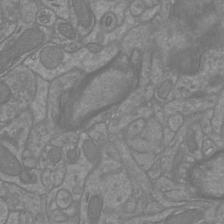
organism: Mouse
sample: Cortical neurons